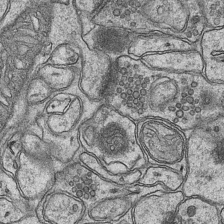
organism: Mouse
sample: CA1 Hippocampus